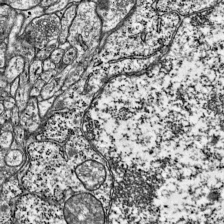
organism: Mouse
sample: Visual Cortex